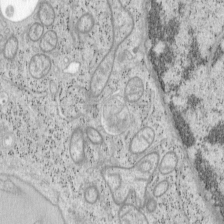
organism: Mouse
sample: OT-I killer T cells with ID8 ovarian cancer cells